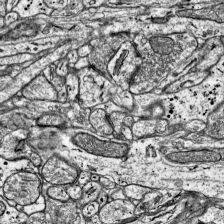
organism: Mouse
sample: Visual Cortex